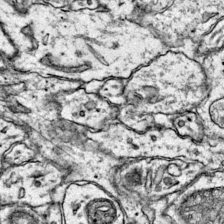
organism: Mouse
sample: Primary visual cortex